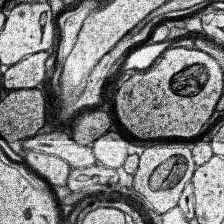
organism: Human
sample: Temporal Lobe